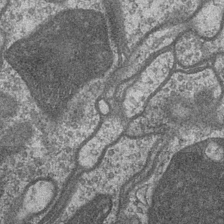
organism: Drosophila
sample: Optic medulla